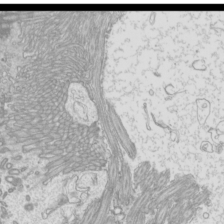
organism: Mouse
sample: Cilia; mouse epididymis